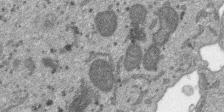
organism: Human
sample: Lung epithelial cells infected with SARS-CoV-2